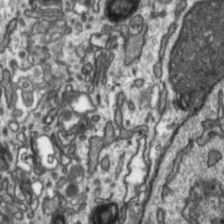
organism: Toxoplasma gondii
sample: Parasites in a vacuole inside a host cell